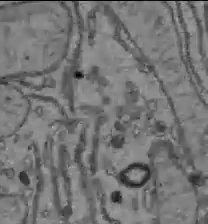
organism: C57BL Mouse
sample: Liver